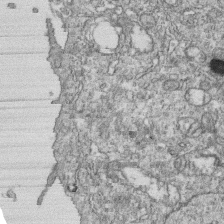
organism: Human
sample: HeLa cell HIV synapse